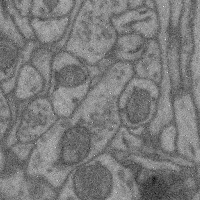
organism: Mouse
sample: Cerebral cortex